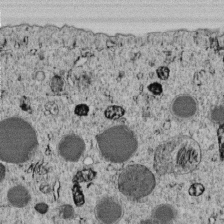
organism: C. elegans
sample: C. elegans embryo early stage